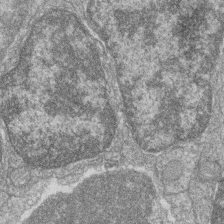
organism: Zebrafish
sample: Cilia; retinal pigment epithelium